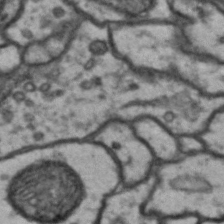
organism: Drosophila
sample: Brain